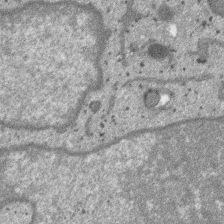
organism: Human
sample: Lung epithelial cells infected with SARS-CoV-2